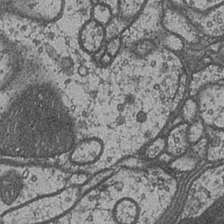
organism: Drosophila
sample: Optic medulla